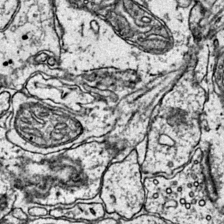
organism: Mouse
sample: Primary visual cortex